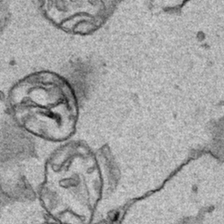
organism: Human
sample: Mitochondria in HCT116 cells